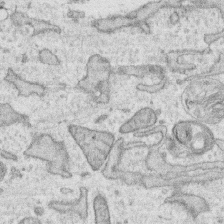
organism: Human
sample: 1205lu cells